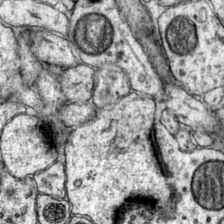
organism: Mouse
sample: Primary visual cortex